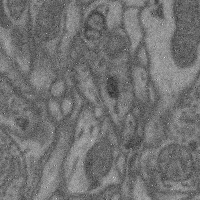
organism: Mouse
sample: Cerebral cortex